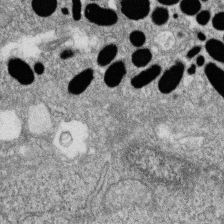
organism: Zebrafish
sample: Cilia; retinal pigment epithelium